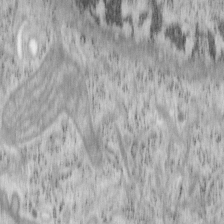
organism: Human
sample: HeLa cells